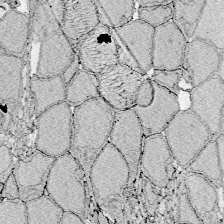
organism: Zebrafish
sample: Whole-Brain